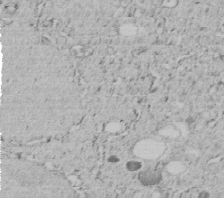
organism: C. elegans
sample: C. elegans embryo early stage